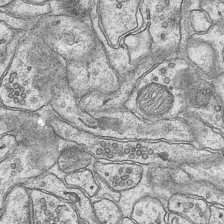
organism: Mouse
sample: CA1 Hippocampus